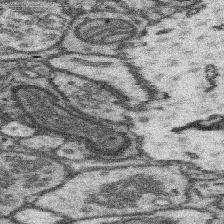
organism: Mouse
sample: Somatosensory cortex neuropil